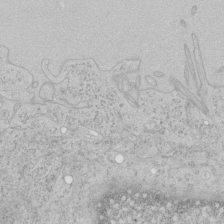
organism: Human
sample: Mitochondria in HCT116 cells